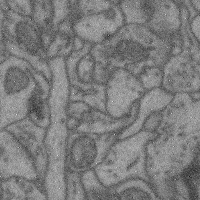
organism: Mouse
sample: Cerebral cortex